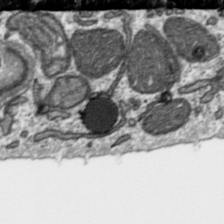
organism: Toxoplasma gondii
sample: Parasites in a vacuole inside a host cell